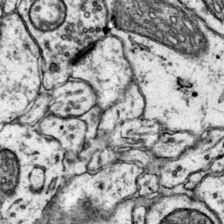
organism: Mouse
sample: Primary visual cortex